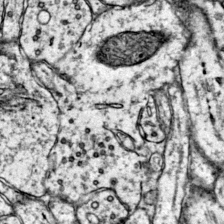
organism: Mouse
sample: Primary visual cortex